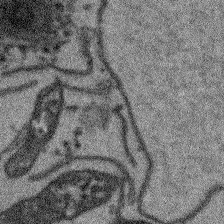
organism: Arabidopsis thaliana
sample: Root tip